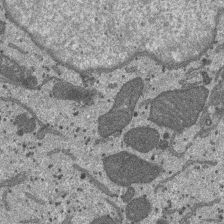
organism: Human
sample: Lung epithelial cells infected with SARS-CoV-2